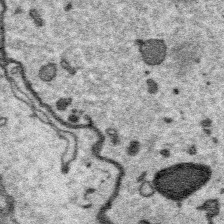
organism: Platynereis dumerilii